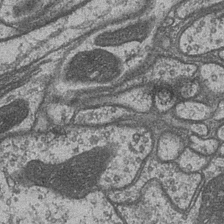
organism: Drosophila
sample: Optic medulla